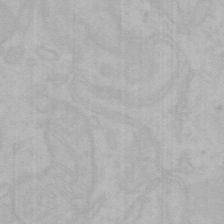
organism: Mouse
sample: Choroid plexus